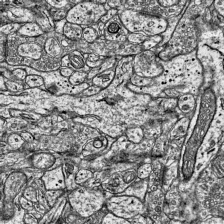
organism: Mouse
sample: Visual Cortex